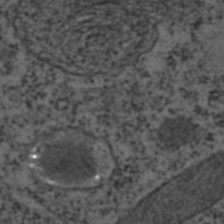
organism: C. elegans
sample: C. elegans embryo